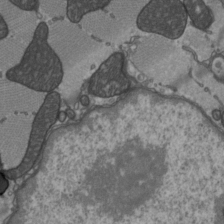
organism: C57BL Mouse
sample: Heart